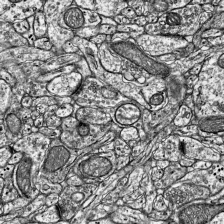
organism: Mouse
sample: Visual Cortex